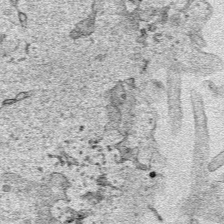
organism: Human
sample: Mitochondria in HCT116 cells